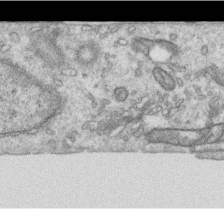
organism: Human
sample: Centriole in RPE cells